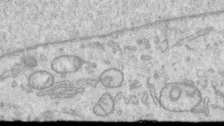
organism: Human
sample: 1205lu cells